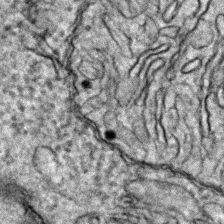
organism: Zebrafish